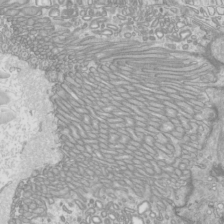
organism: Mouse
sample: Cilia; mouse epididymis